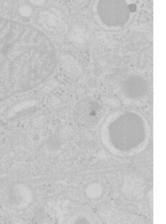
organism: Mouse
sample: Pancreas